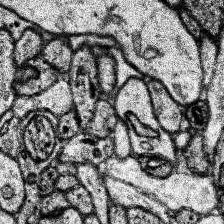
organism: Human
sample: Temporal Lobe